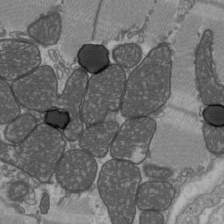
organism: C57BL Mouse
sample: Heart